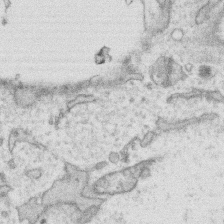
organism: Human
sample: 1205lu cells